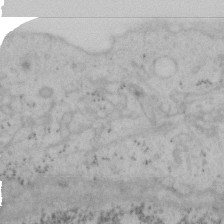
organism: Human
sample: HeLa cells